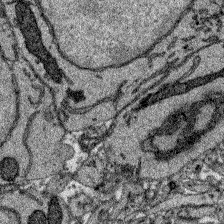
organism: Zebrafish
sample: Larval olfactory bulb